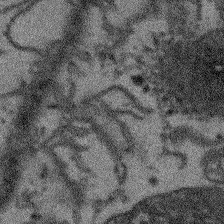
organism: Arabidopsis thaliana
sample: Root tip